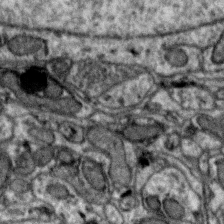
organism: Zebra finch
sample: Brain